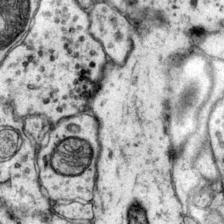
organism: Mouse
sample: Primary visual cortex